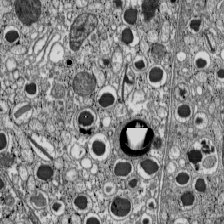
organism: C57BL Mouse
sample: Pancreatic islet